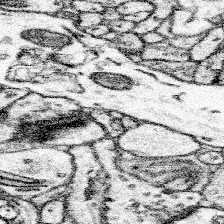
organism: Mouse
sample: Somatosensory cortex neuropil